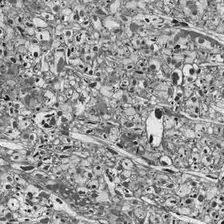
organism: Drosophila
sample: Optic lobe